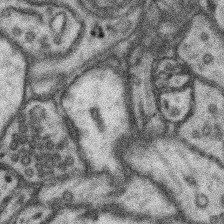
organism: Mouse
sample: Somatosensory cortex neuropil